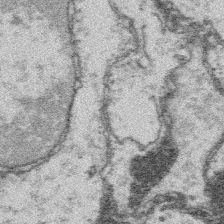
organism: Platynereis dumerilii